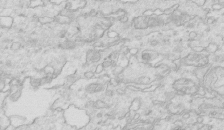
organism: Mouse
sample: Multiciliated cells